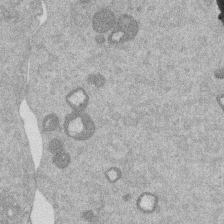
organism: Mouse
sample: Dividing mouse embryo 1 cell stage